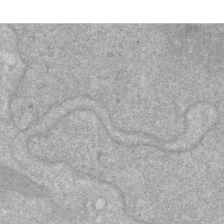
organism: Human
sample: HIV infected U937 cells